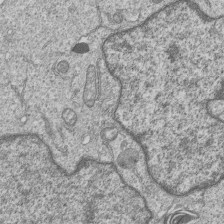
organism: Human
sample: MDA-MB-231 cells